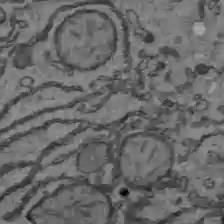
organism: C57BL Mouse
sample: Liver